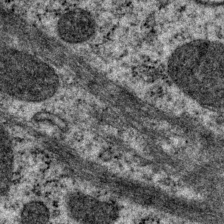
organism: P. pacificus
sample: Pharynx